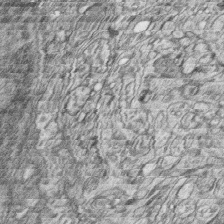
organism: Zebrafish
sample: synaptic ribbons in rod cells and cone cells